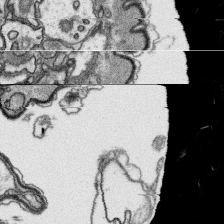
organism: Platynereis dumerilii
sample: Parapodia